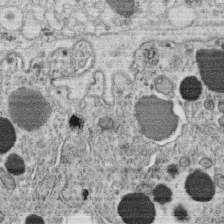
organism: C. elegans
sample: C. elegans oocyte; sperm cells